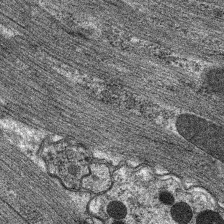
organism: C. elegans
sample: Pharynx